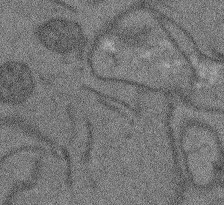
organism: Arabidopsis thaliana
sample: Root tip